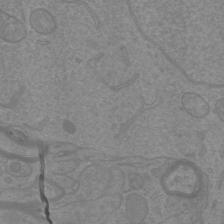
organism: Mouse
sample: Cortical neurons